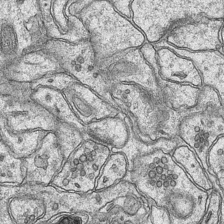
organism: Mouse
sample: CA1 Hippocampus